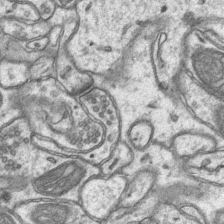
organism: Mouse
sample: CA1 Hippocampus